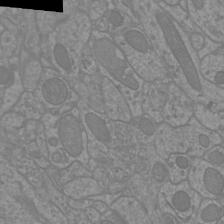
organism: Mouse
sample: Cortical neurons